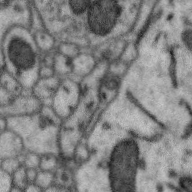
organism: Zebra finch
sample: Brain